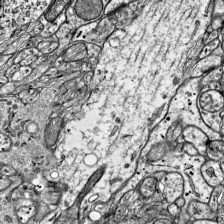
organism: Mouse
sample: Visual Cortex